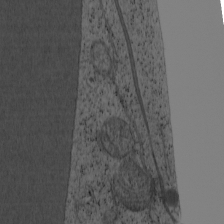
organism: African green monkey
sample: COS-7 cells